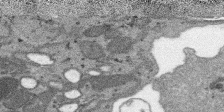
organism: Human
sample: Lung epithelial cells infected with SARS-CoV-2